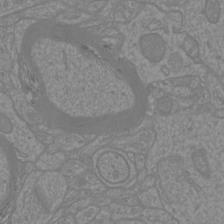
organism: Mouse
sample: Cortical neurons